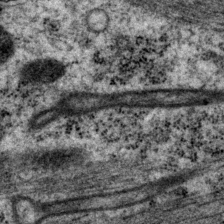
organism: P. pacificus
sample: Pharynx